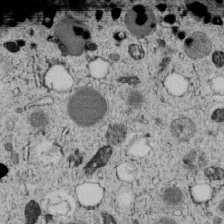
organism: C. elegans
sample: C. elegans embryo early stage